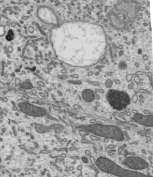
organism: Mouse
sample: Mouse epididymis efferent ductule cilia